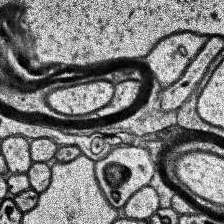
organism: Human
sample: Temporal Lobe